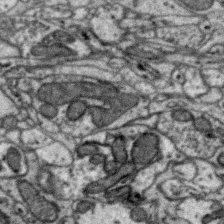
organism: Zebra finch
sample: Brain